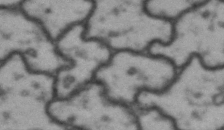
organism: Drosophila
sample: Brain